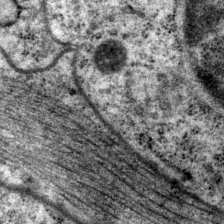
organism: P. pacificus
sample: Pharynx